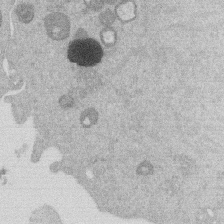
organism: Mouse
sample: Dividing mouse embryo 1 cell stage